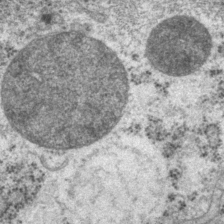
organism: P. pacificus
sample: Pharynx